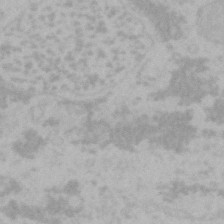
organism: Mouse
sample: Choroid plexus